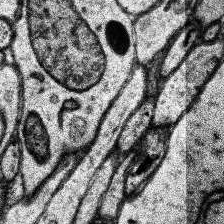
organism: Human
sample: Temporal Lobe